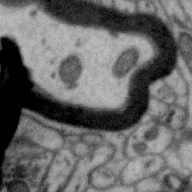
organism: Zebra finch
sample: Brain